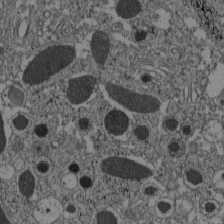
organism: C57BL Mouse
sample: Pancreatic islet